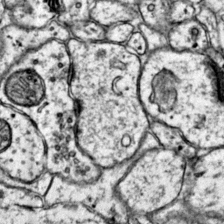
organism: Mouse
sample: Primary visual cortex